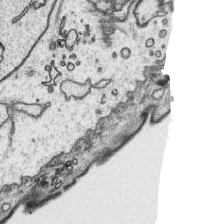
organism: Platynereis dumerilii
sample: Parapodia